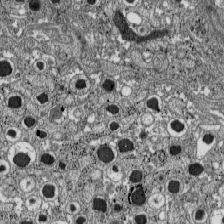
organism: C57BL Mouse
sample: Pancreatic islet